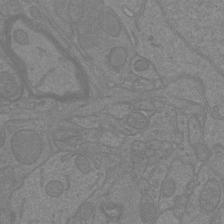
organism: Mouse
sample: Cortical neurons